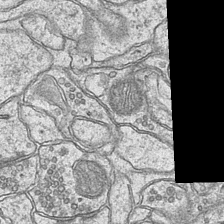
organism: Mouse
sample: CA1 Hippocampus